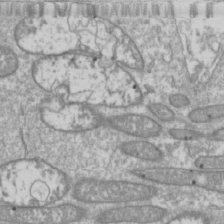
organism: Drosophila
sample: Cell division; meiosis; drosophila spermatocytes